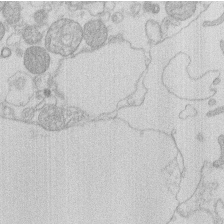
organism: Human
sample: Macrophage cells